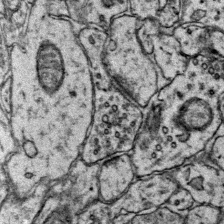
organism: Mouse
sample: Primary visual cortex